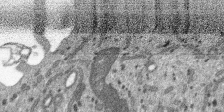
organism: Human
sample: Lung epithelial cells infected with SARS-CoV-2